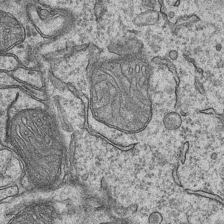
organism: Mouse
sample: CA1 Hippocampus